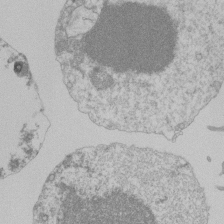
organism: Mouse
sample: Activated Pmel transgenic CD8+ T Cells